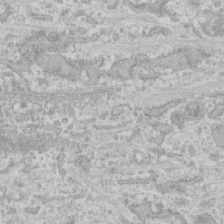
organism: Human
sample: CRL-1474